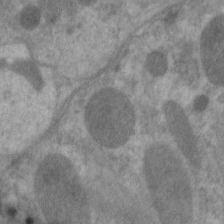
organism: C. elegans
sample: Pharynx